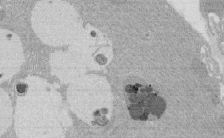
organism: Rat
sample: Salivary granule